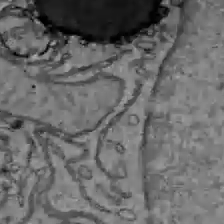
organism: C57BL Mouse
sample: Liver